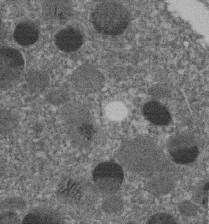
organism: C. elegans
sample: C. elegans embryo early stage